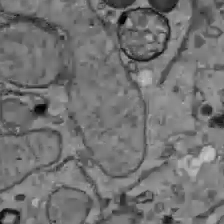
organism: C57BL Mouse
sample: Liver